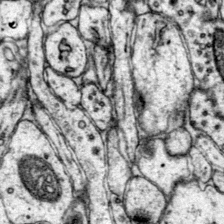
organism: Mouse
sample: Primary visual cortex